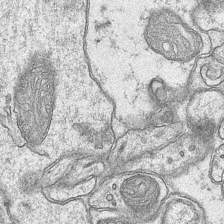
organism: Mouse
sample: CA1 Hippocampus